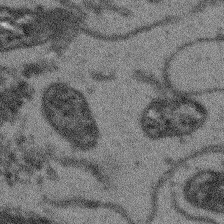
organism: Arabidopsis thaliana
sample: Root tip